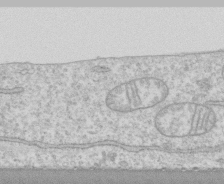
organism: Human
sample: CRL-1474